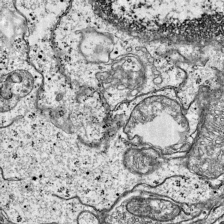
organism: Mouse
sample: Visual Cortex